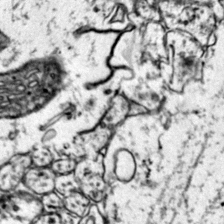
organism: Mouse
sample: Primary visual cortex